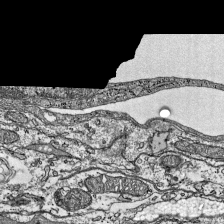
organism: Mouse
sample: Visual Cortex